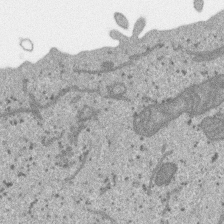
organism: Human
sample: Lung epithelial cells infected with SARS-CoV-2